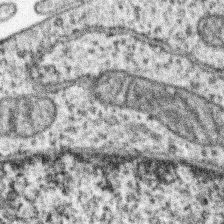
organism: Human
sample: HeLa cells